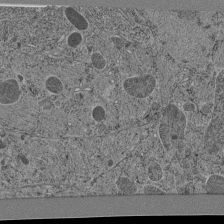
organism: C. elegans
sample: C. elegans pharynx